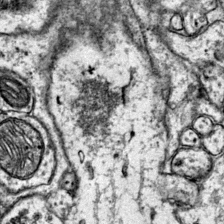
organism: Mouse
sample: Primary visual cortex